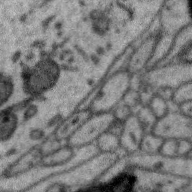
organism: Zebra finch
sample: Brain